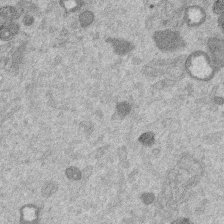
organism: Mouse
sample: Dividing mouse embryo 1 cell stage